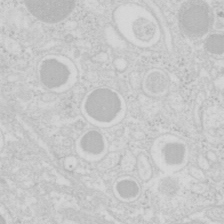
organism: Mouse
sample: Pancreas